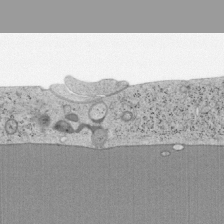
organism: Human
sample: HeLa cells